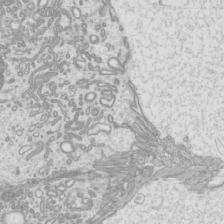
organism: Mouse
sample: Cilia; mouse epididymis